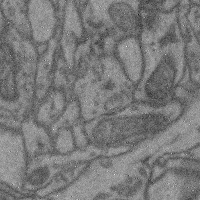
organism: Mouse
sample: Cerebral cortex